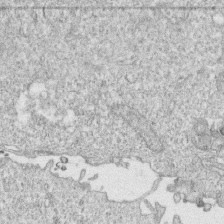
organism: Human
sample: HeLa cell HIV synapse